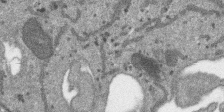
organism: Human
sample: Lung epithelial cells infected with SARS-CoV-2